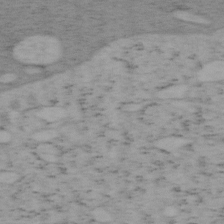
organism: Mouse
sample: OT-I killer T cells with ID8 ovarian cancer cells